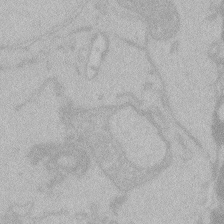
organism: Zebrafish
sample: Macrophage infected with Toxoplasma gondii